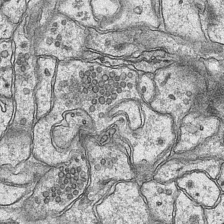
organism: Mouse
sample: CA1 Hippocampus